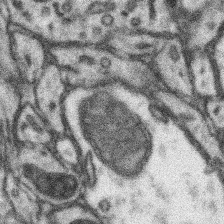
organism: Mouse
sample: Somatosensory cortex neuropil